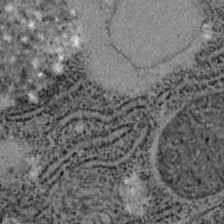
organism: C. elegans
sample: C. elegans embryo